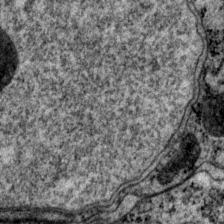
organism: P. pacificus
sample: Pharynx